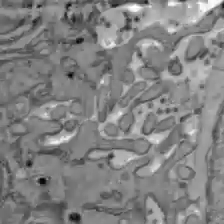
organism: C57BL Mouse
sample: Liver